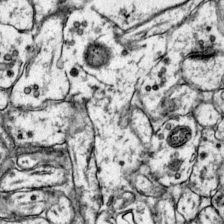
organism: Mouse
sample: Primary visual cortex